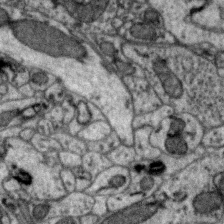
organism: Zebra finch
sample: Brain